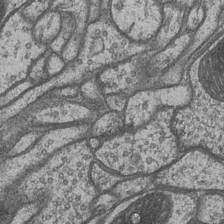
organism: Drosophila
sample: Optic medulla